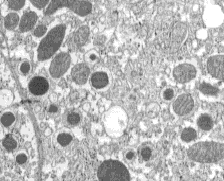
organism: C57BL Mouse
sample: Pancreatic islet